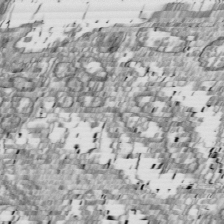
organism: Drosophila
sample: Cell division; meiosis; drosophila spermatocytes